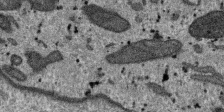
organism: Human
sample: Lung epithelial cells, uninfected (mock) control